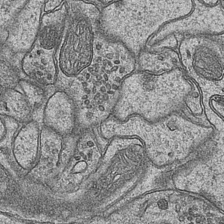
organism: Mouse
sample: CA1 Hippocampus